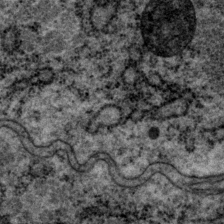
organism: P. pacificus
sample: Pharynx